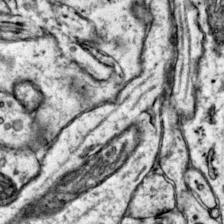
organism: Mouse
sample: Primary visual cortex